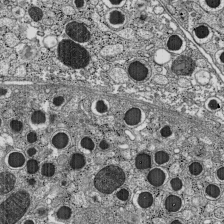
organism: C57BL Mouse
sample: Pancreatic islet